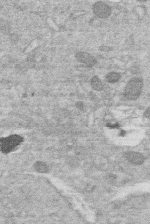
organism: Human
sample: Macrophage cells